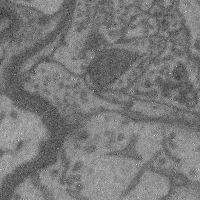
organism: Mouse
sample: Cerebral cortex